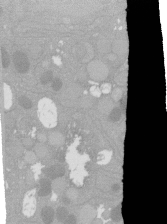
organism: C. elegans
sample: C. elegans oocyte; sperm cells